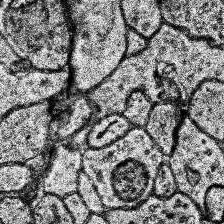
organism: Human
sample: Temporal Lobe